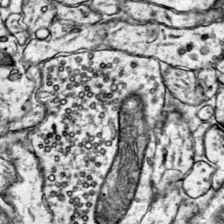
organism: Mouse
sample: Primary visual cortex